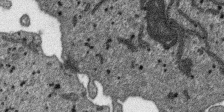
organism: Human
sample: Lung epithelial cells infected with SARS-CoV-2